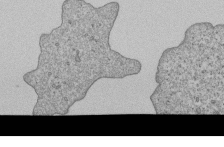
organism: Human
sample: MDA-MB-231 cells